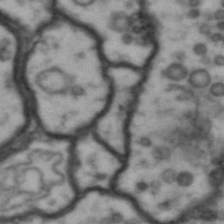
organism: Drosophila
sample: Brain